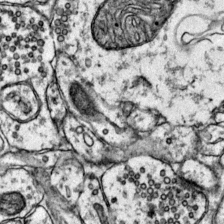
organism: Mouse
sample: Primary visual cortex